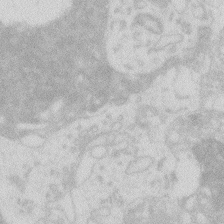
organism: Zebrafish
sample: Macrophage